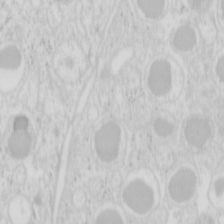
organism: Mouse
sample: Pancreas